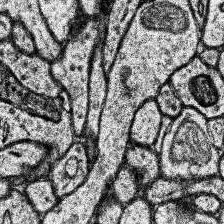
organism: Human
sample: Temporal Lobe